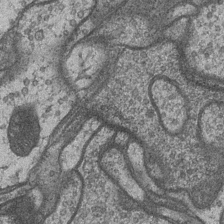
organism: Drosophila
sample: Optic medulla